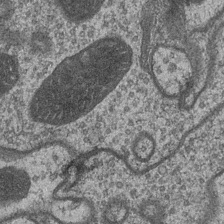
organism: Drosophila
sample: Optic medulla